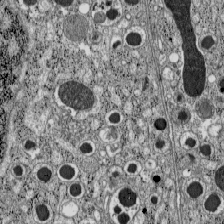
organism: C57BL Mouse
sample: Pancreatic islet